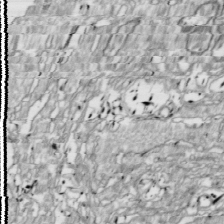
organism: Drosophila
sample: Cell division; meiosis; drosophila spermatocytes